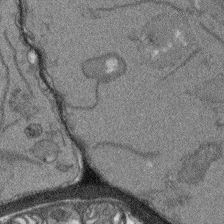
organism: Arabidopsis thaliana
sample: Root tip